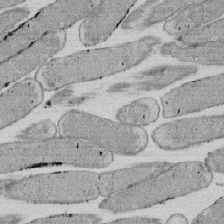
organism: E. coli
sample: Bacterial nucleoid